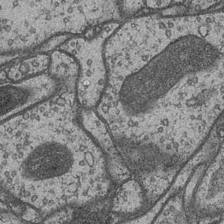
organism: Drosophila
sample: Optic medulla